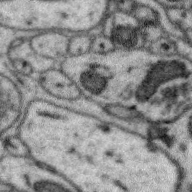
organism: Zebra finch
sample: Brain